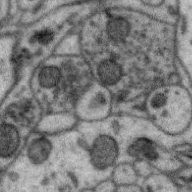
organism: Zebra finch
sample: Brain